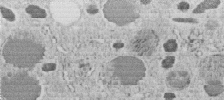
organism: C. elegans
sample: C. elegans embryo early stage